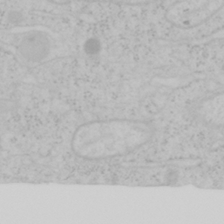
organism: Mouse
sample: OT-I killer T cells with ID8 ovarian cancer cells